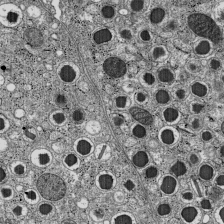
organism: C57BL Mouse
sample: Pancreatic islet